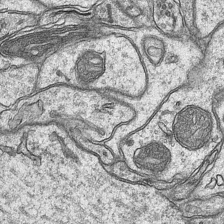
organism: Mouse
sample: CA1 Hippocampus